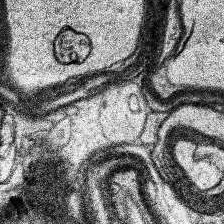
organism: Human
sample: Temporal Lobe